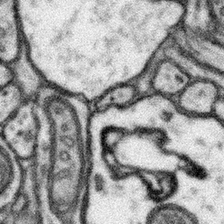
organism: Mouse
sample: Somatosensory cortex neuropil